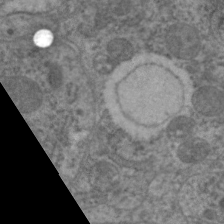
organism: C. elegans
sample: Pharynx